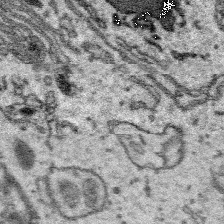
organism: Platynereis dumerilii